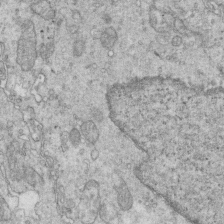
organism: Mouse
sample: Multiciliated cells